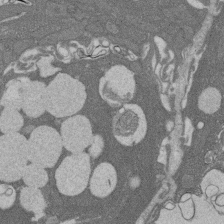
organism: Rat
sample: Salivary granule